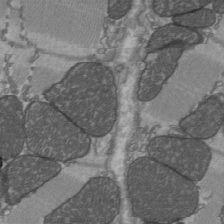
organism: C57BL Mouse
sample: Heart